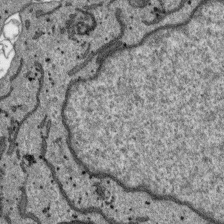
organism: Human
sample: Lung epithelial cells, uninfected (mock) control